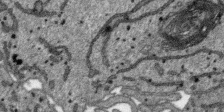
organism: Human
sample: Lung epithelial cells, uninfected (mock) control